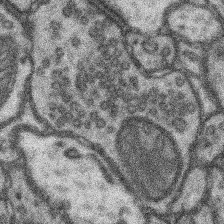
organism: Mouse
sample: Somatosensory cortex neuropil